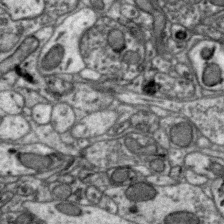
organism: Zebra finch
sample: Brain